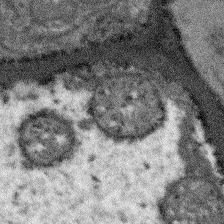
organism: Arabidopsis thaliana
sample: Root tip